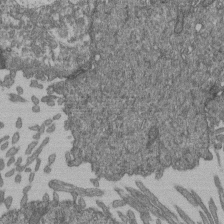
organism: Human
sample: Retinal organoid Rod and Cone cells